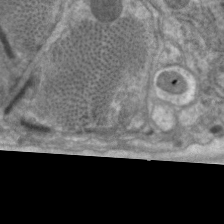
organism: C. elegans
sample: Pharynx